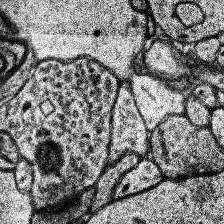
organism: Human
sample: Temporal Lobe